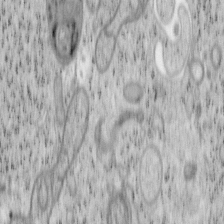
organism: Human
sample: HeLa cells